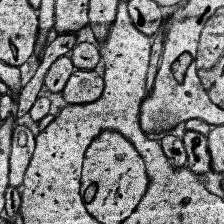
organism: Human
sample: Temporal Lobe